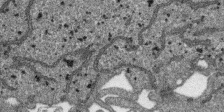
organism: Human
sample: Lung epithelial cells infected with SARS-CoV-2